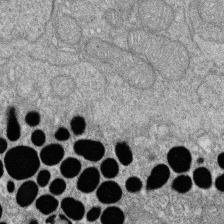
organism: Zebrafish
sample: Cilia; retinal pigment epithelium